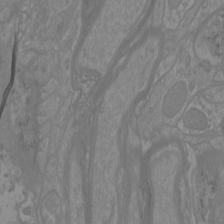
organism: Mouse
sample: Cortical neurons